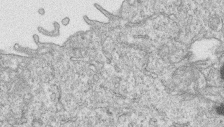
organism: Human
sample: HeLa cell HIV synapse